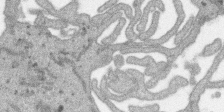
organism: Human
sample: Lung epithelial cells infected with SARS-CoV-2